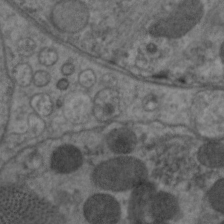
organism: C. elegans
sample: Pharynx